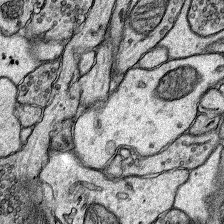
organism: Rat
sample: Hippocampus